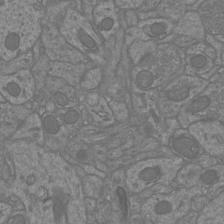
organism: Mouse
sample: Cortical neurons